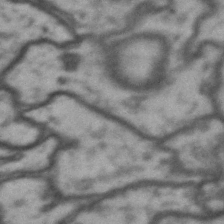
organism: Drosophila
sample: Brain